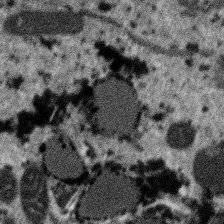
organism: Human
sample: Lung epithelial cells infected with SARS-CoV-2